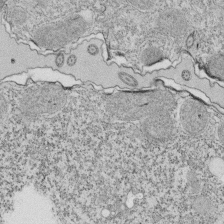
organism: Tetrahymena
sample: Cilia in tetrahymena